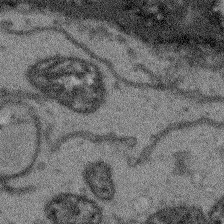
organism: Arabidopsis thaliana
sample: Root tip